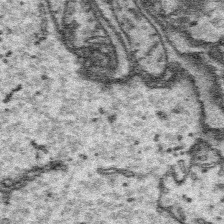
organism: Platynereis dumerilii